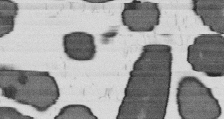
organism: B. subtilis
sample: Bacterial spore